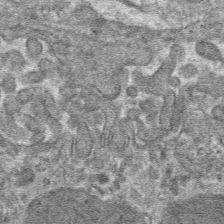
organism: Mouse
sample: Mouse hepatocytes